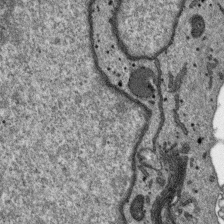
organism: Human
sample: Lung epithelial cells, uninfected (mock) control